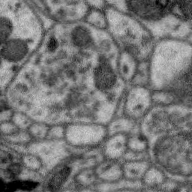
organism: Zebra finch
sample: Brain